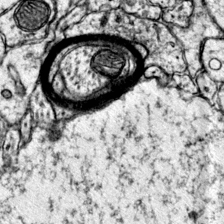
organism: Mouse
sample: Primary visual cortex